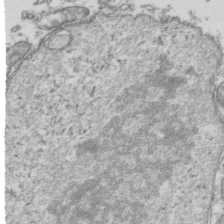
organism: Human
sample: Activated Jurkat CD4+ T cells